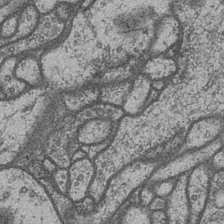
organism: Drosophila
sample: Optic medulla